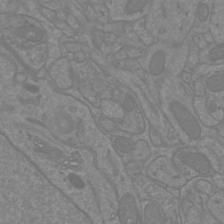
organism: Mouse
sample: Cortical neurons